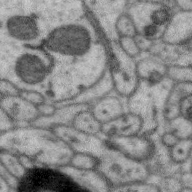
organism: Zebra finch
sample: Brain